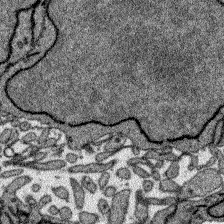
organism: Zebrafish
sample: Larval olfactory bulb